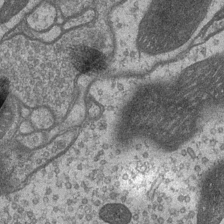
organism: Drosophila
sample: Optic medulla